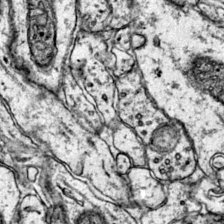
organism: Mouse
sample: Primary visual cortex